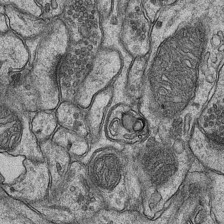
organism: Mouse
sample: CA1 Hippocampus